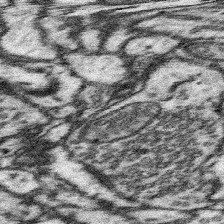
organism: Mouse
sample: Somatosensory cortex neuropil